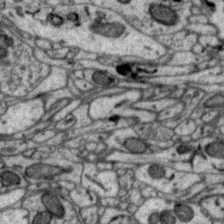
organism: Zebra finch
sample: Brain